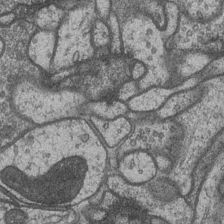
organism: Drosophila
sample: Optic medulla